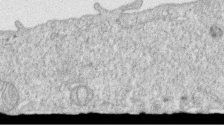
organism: Human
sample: HeLa cell HIV synapse